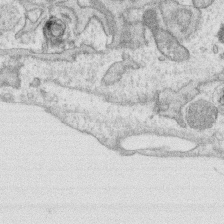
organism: Human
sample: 1205lu cells